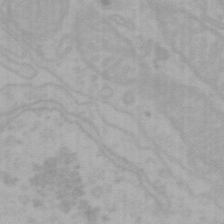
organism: Mouse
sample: Choroid plexus